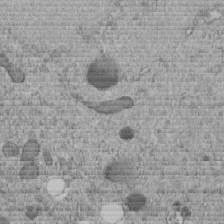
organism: C. elegans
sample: C. elegans embryo early stage